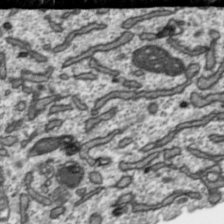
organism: Toxoplasma gondii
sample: Parasites in a vacuole inside a host cell